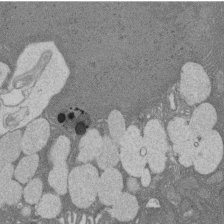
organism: Rat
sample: Salivary granule